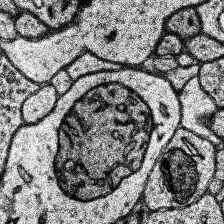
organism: Human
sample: Temporal Lobe